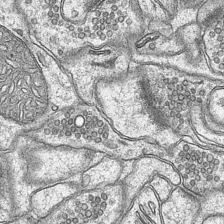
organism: Mouse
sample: CA1 Hippocampus